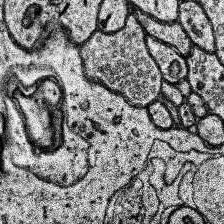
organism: Human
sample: Temporal Lobe